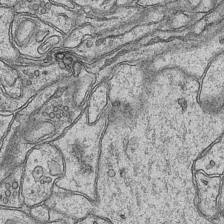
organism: Mouse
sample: CA1 Hippocampus